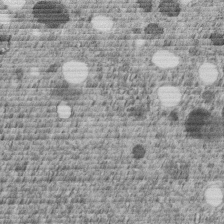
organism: C. elegans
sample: C. elegans embryo early stage